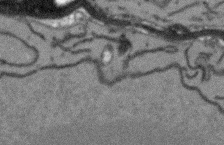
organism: Arabidopsis thaliana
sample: Root tip